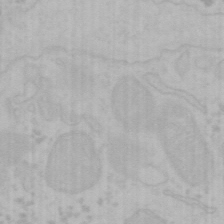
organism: Mouse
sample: Choroid plexus